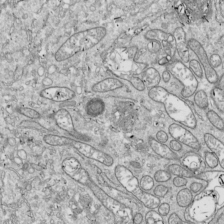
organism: Drosophila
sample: Cell division; meiosis; drosophila spermatocytes